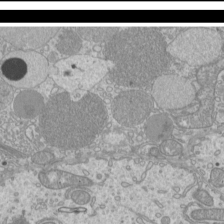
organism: Mouse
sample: Cilia; mouse epididymis